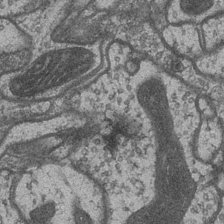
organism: Drosophila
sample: Optic medulla